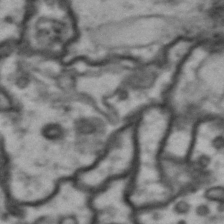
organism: Drosophila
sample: Brain